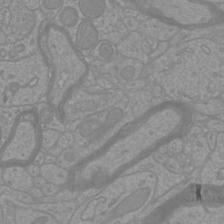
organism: Mouse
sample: Cortical neurons